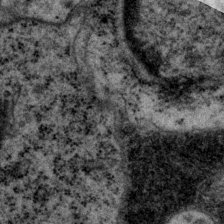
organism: P. pacificus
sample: Pharynx